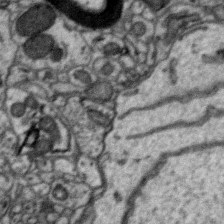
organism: Zebra finch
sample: Brain